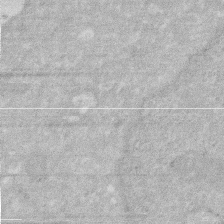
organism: Human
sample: HIV infected U937 cells